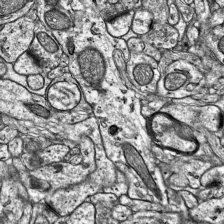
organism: Mouse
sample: Visual Cortex